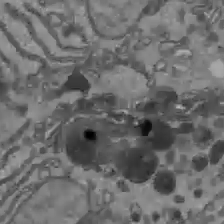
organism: C57BL Mouse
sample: Liver